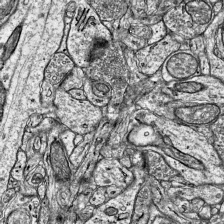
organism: Mouse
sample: Visual Cortex